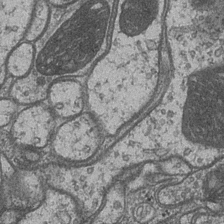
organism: Drosophila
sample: Optic medulla